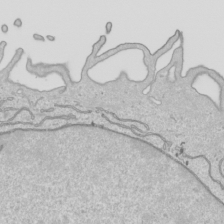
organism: Human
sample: Mitochondria in HCT116 cells